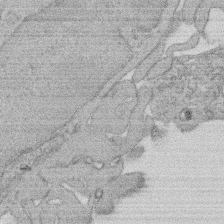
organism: Rat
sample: Salivary granule